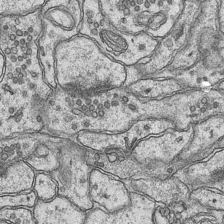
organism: Mouse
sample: CA1 Hippocampus